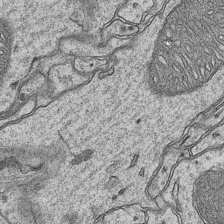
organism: Mouse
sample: CA1 Hippocampus